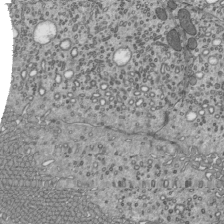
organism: Mouse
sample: Mouse epididymis efferent ductule cilia